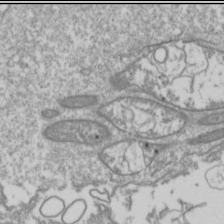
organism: Drosophila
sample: Cell division; meiosis; drosophila spermatocytes